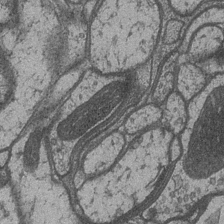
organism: Drosophila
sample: Optic medulla